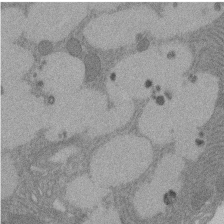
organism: Rat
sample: Salivary granule